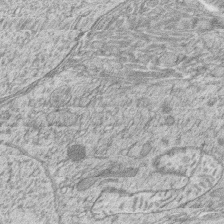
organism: Zebrafish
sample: synaptic ribbons in rod cells and cone cells